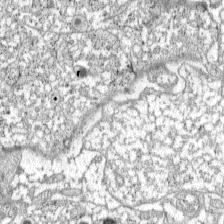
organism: C57BL Mouse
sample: Pancreatic islet